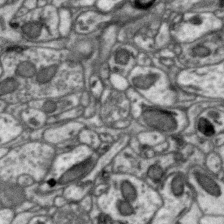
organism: Zebra finch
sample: Brain